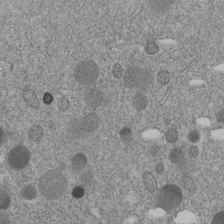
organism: C. elegans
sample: C. elegans embryo early stage